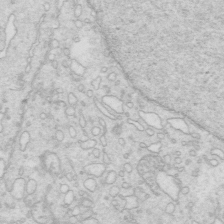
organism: Mouse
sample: Multiciliated cells